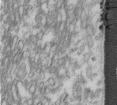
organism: Human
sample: Centriole in fibroblast cells